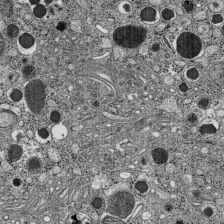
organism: C57BL Mouse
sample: Pancreatic islet